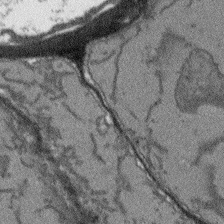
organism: Arabidopsis thaliana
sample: Root tip